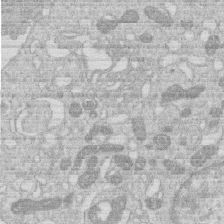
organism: Human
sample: Macrophage cells